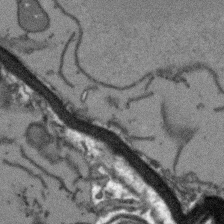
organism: Arabidopsis thaliana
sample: Root tip